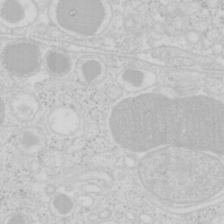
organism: Mouse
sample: Pancreas